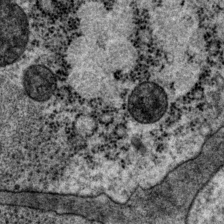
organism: P. pacificus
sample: Pharynx